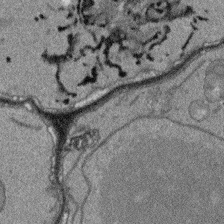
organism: Arabidopsis thaliana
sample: Root tip